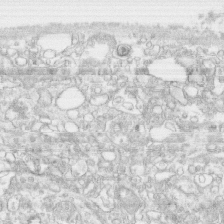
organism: Human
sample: CRL-1474